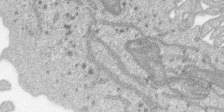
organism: Human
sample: Lung epithelial cells infected with SARS-CoV-2